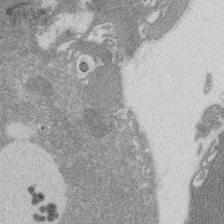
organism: Rat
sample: Salivary granule